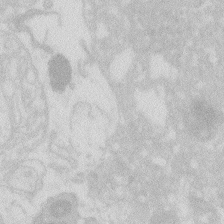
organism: Zebrafish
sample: Macrophage